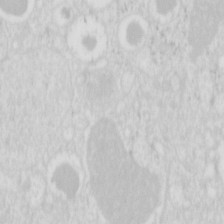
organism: Mouse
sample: Pancreas